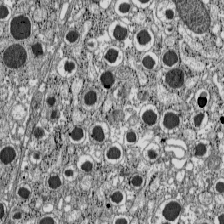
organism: C57BL Mouse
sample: Pancreatic islet